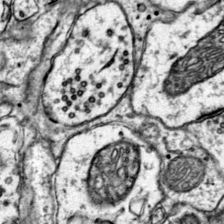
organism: Mouse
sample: Primary visual cortex